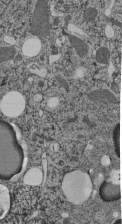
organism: C. elegans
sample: C. elegans pharynx